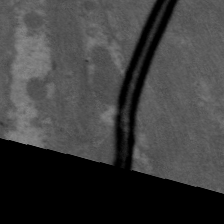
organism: C. elegans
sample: Pharynx